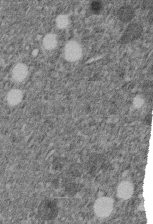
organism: C. elegans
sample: C. elegans embryo early stage